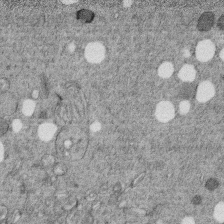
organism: C. elegans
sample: C. elegans embryo early stage